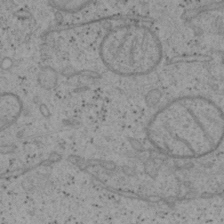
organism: Human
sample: HeLa cells